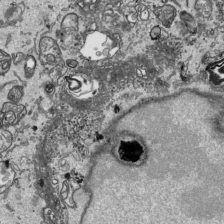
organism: Human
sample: Mitochondria in HCT116 cells